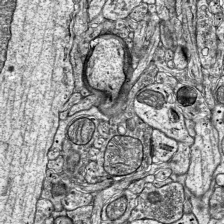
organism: Mouse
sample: Visual Cortex